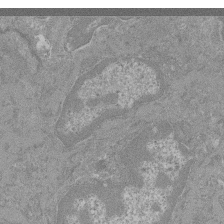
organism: Mouse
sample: Glomerulus